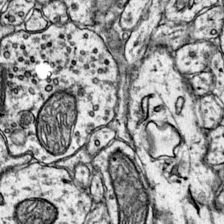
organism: Mouse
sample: Primary visual cortex